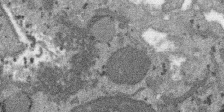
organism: Human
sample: Lung epithelial cells infected with SARS-CoV-2